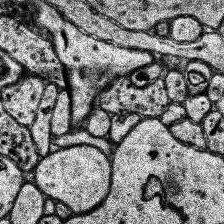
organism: Human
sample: Temporal Lobe